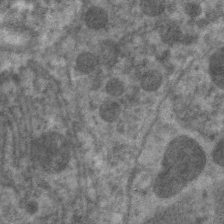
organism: C. elegans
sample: Pharynx